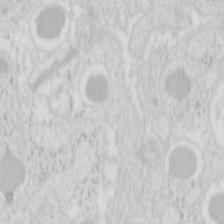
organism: Mouse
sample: Pancreas